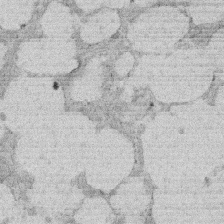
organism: Rat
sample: Salivary granule